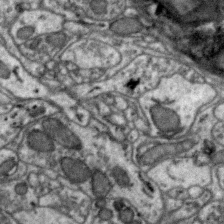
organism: Zebra finch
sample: Brain